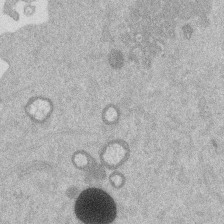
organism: Mouse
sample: Dividing mouse embryo 1 cell stage